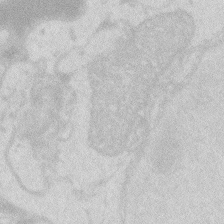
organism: Zebrafish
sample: Macrophage